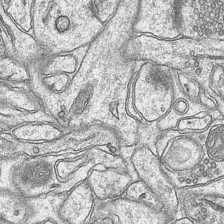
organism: Mouse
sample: CA1 Hippocampus